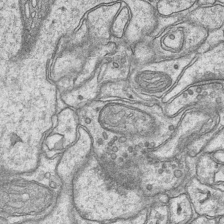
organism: Mouse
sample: CA1 Hippocampus